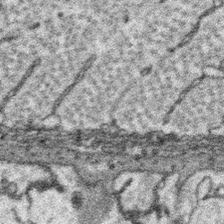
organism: Platynereis dumerilii